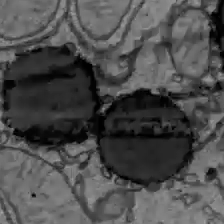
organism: C57BL Mouse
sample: Liver